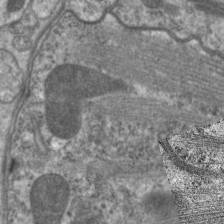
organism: C. elegans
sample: Pharynx